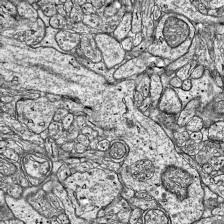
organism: Mouse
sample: Visual Cortex